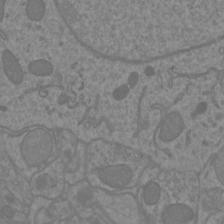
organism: Mouse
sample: Cortical neurons